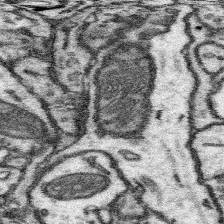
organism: Mouse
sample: Somatosensory cortex neuropil